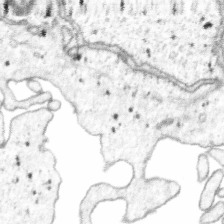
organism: Human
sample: HeLa cells